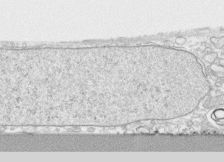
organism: Human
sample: CRL-1474